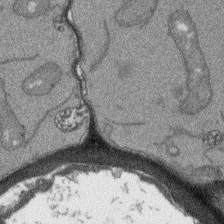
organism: Arabidopsis thaliana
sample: Root tip